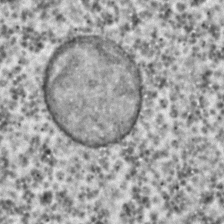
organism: C. elegans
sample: C. elegans embryo